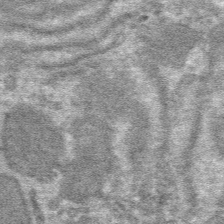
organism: Mouse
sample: Mouse hepatocytes